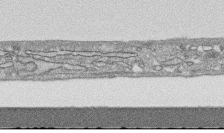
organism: Human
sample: CRL-1474